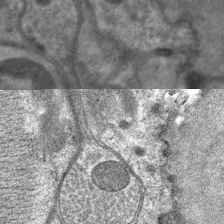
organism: C. elegans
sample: Pharynx